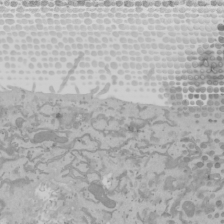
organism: Mouse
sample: Cancer cell death in ED-1 cells